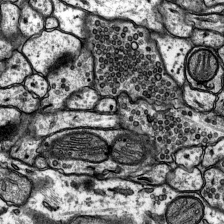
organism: Rat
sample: Hippocampus